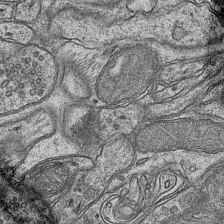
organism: Mouse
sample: CA1 Hippocampus